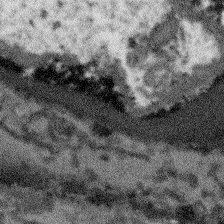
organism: Arabidopsis thaliana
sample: Root tip